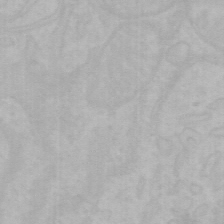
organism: Mouse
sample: Choroid plexus